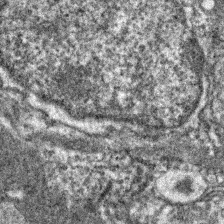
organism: Zebrafish